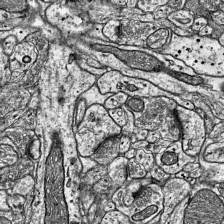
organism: Mouse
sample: Visual Cortex